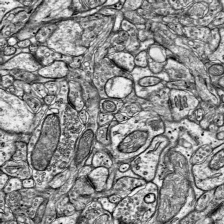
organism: Mouse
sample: Visual Cortex